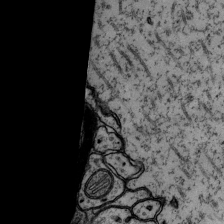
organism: Rat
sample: Hippocampus